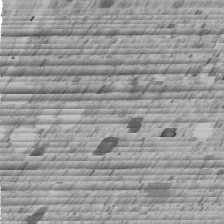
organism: C. elegans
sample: C. elegans embryo early stage